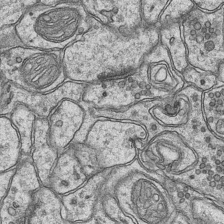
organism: Mouse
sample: CA1 Hippocampus